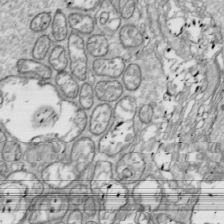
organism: Drosophila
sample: Cell division; meiosis; drosophila spermatocytes